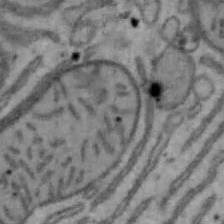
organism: Mouse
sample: Liver